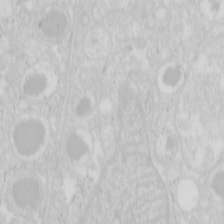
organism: Mouse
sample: Pancreas